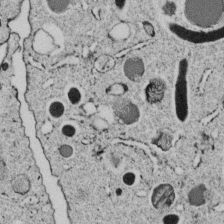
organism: C. elegans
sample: C. elegans embryo early stage